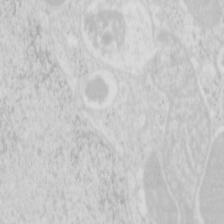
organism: Mouse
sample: Pancreas